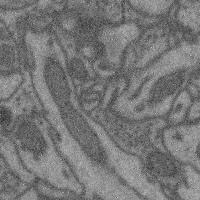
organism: Mouse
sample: Cerebral cortex